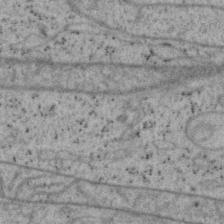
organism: Human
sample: HeLa cells